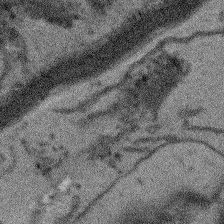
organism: Arabidopsis thaliana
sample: Root tip